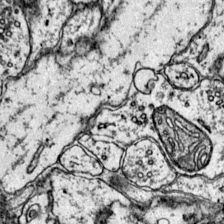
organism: Mouse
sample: Primary visual cortex